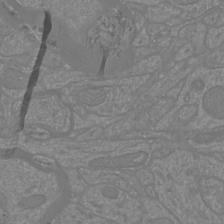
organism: Mouse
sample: Cortical neurons